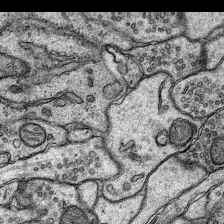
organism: Rat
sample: Hippocampus